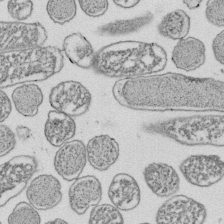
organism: E. coli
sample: Bacterial nucleoid